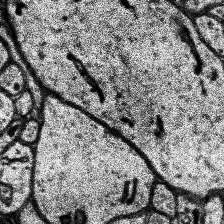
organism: Human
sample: Temporal Lobe